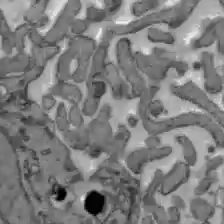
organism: C57BL Mouse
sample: Liver